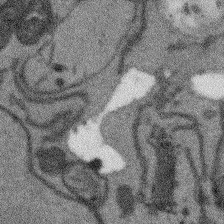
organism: Arabidopsis thaliana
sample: Root tip